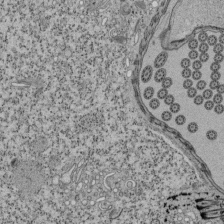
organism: Tetrahymena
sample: Cilia in tetrahymena